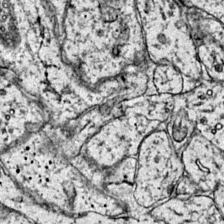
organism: Mouse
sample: Primary visual cortex